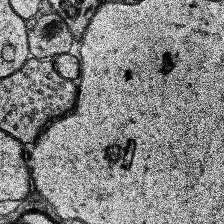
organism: Human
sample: Temporal Lobe